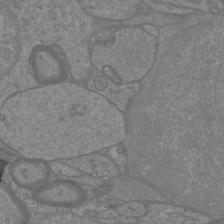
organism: Mouse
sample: Cortical neurons